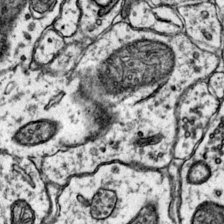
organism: Mouse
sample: Primary visual cortex